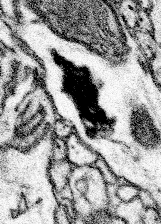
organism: Mouse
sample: Somatosensory cortex neuropil